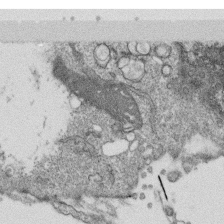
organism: African green monkey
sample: Vero E6 cells infected with SARS-CoV-2